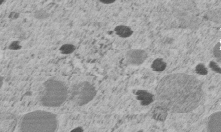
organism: C. elegans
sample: C. elegans embryo early stage